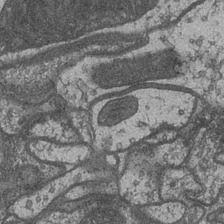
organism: Drosophila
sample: Optic medulla